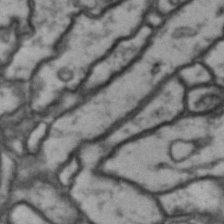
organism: Drosophila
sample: Brain